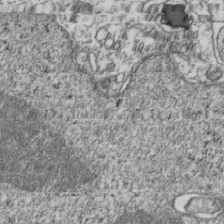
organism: Human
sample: Activated Jurkat CD4+ T cells